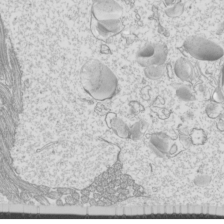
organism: Mouse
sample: Cilia; mouse epididymis